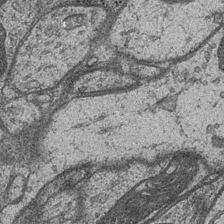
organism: Drosophila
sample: Optic medulla